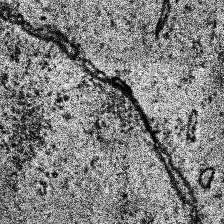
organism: Human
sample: Temporal Lobe